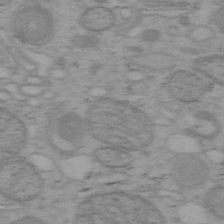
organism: Mouse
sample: OT-I killer T cells with ID8 ovarian cancer cells